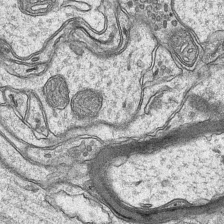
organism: Mouse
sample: CA1 Hippocampus